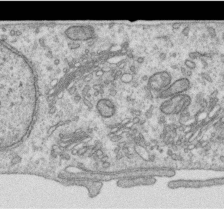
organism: Human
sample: Centriole in RPE cells